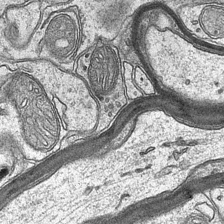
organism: Mouse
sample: CA1 Hippocampus